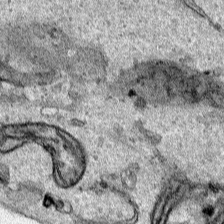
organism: Human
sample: Mitochondria in HCT116 cells